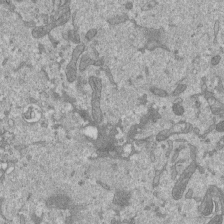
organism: Mouse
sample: ED-1 cell nuclei; centrioles